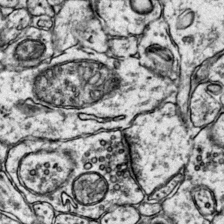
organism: Mouse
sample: Primary visual cortex